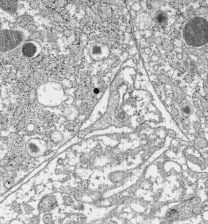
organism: C57BL Mouse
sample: Pancreatic islet